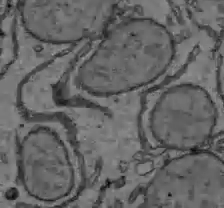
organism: C57BL Mouse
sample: Liver